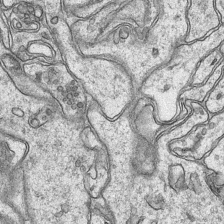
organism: Mouse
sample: CA1 Hippocampus